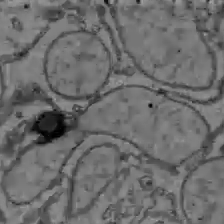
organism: C57BL Mouse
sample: Liver